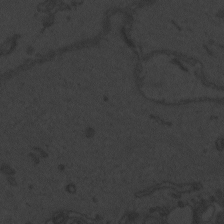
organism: Zebrafish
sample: Macrophage infected with Toxoplasma gondii